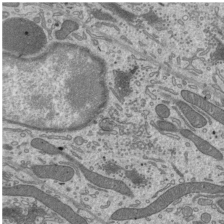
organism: Mouse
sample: Mouse epididymis efferent ductule cilia